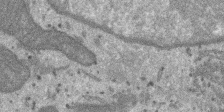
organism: Human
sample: Lung epithelial cells infected with SARS-CoV-2